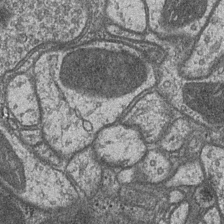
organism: Drosophila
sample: Optic medulla